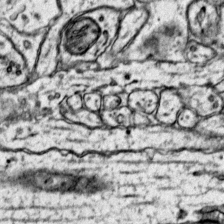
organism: Mouse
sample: Primary visual cortex